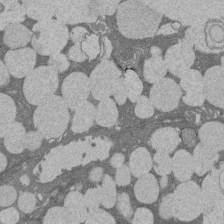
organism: Rat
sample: Salivary granule